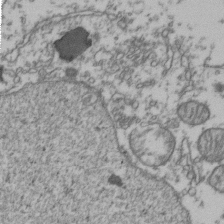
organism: Human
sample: Activated Jurkat CD4+ T cells